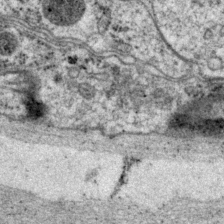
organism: P. pacificus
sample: Pharynx